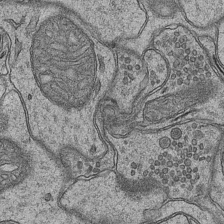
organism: Mouse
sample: CA1 Hippocampus